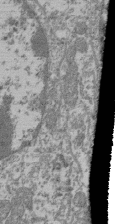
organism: Mouse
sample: Glomerulus